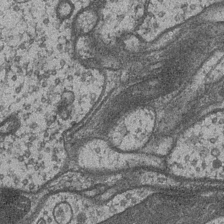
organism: Drosophila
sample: Optic medulla